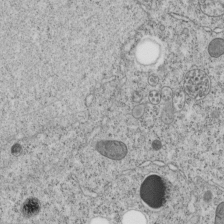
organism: C. elegans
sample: C. elegans embryo early stage